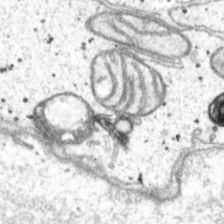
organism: Human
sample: HeLa cells